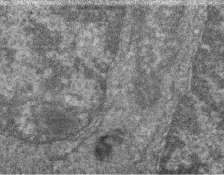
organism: Zebrafish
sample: Cilia; retinal pigment epithelium